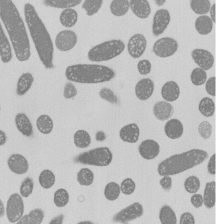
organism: E. coli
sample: Bacterial nucleoid